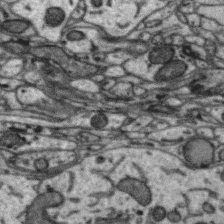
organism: Zebra finch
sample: Brain